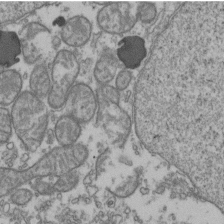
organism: Human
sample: Activated Jurkat CD4+ T cells